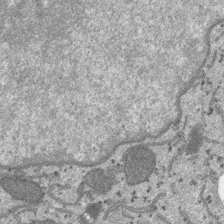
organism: Human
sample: Lung epithelial cells infected with SARS-CoV-2